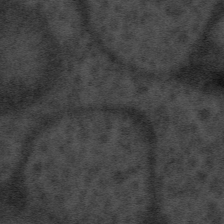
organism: Tuwongella immobilis